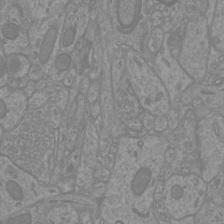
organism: Mouse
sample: Cortical neurons